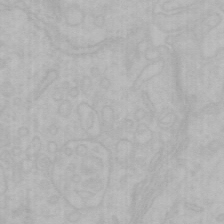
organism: Mouse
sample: Choroid plexus